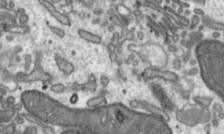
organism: Toxoplasma gondii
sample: Parasites in a vacuole inside a host cell